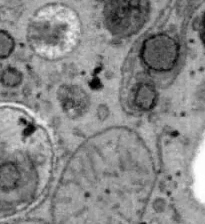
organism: Mouse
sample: Liver from an obese (ob/ob) mouse